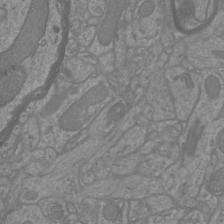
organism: Mouse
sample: Cortical neurons